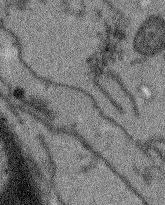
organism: Arabidopsis thaliana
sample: Root tip